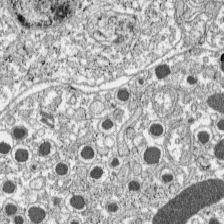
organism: C57BL Mouse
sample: Pancreatic islet